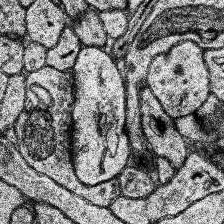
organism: Human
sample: Temporal Lobe